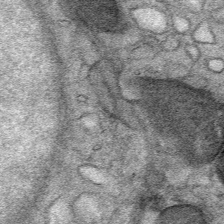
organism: Mouse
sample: Mouse Salivary gland